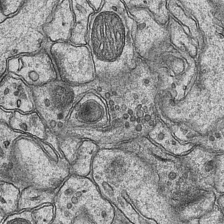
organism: Mouse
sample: CA1 Hippocampus